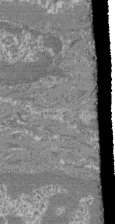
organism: Mouse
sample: Glomerulus